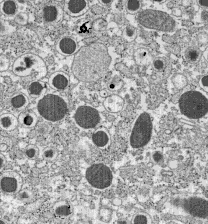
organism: C57BL Mouse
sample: Pancreatic islet